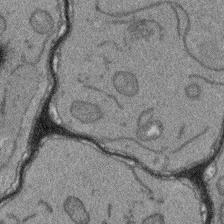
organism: Arabidopsis thaliana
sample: Root tip